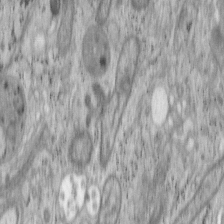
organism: Human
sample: HeLa cells